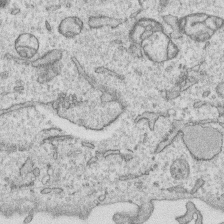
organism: Human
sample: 1205lu cells